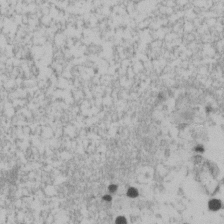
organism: Human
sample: U2-OS cells